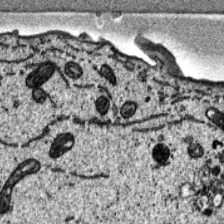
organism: Human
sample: HeLa cells